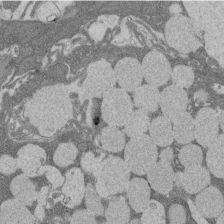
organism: Rat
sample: Salivary granule